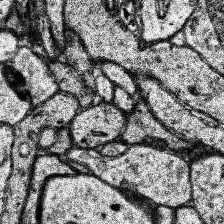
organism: Human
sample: Temporal Lobe